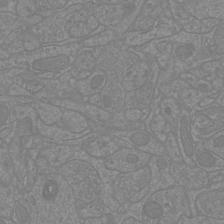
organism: Mouse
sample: Cortical neurons